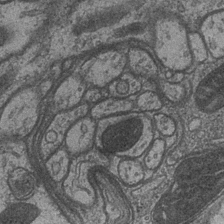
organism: Drosophila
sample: Optic medulla